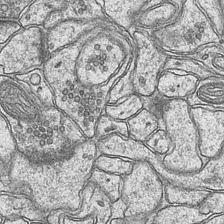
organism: Mouse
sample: CA1 Hippocampus